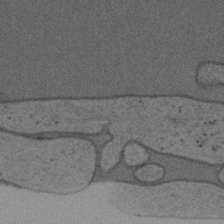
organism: Human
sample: HeLa cells